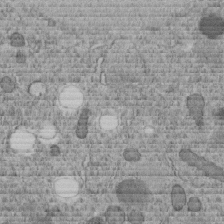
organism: C. elegans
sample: C. elegans embryo early stage